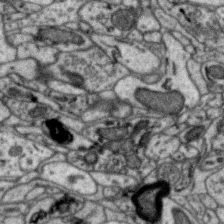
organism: Zebra finch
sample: Brain